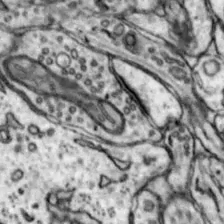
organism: Mouse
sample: Nucleus accumbens